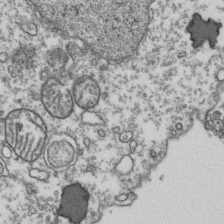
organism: Human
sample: Activated Jurkat CD4+ T cells